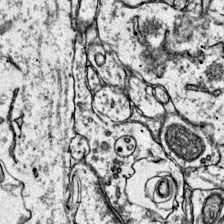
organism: Mouse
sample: Primary visual cortex